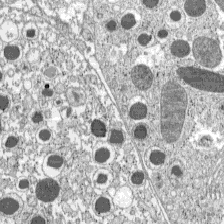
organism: C57BL Mouse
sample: Pancreatic islet